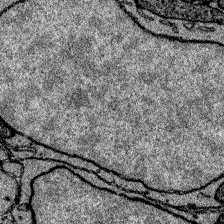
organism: Zebrafish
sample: Larval olfactory bulb